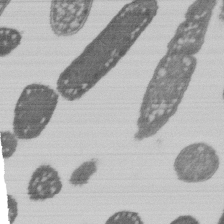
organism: E. coli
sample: Bacterial nucleoid